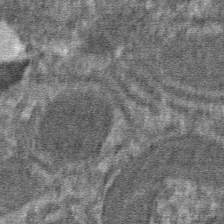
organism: Mouse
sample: Mouse hepatocytes